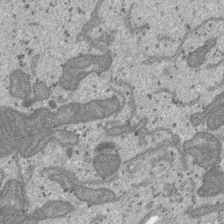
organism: Human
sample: Lung epithelial cells infected with SARS-CoV-2